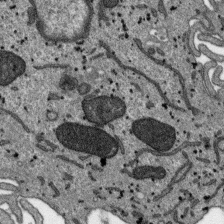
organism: Human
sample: Lung epithelial cells, uninfected (mock) control